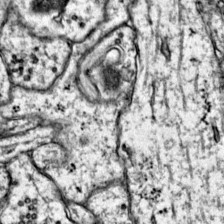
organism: Mouse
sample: Primary visual cortex